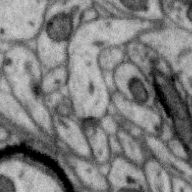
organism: Zebra finch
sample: Brain